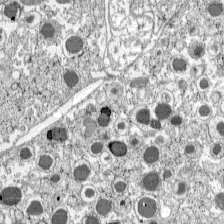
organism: C57BL Mouse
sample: Pancreatic islet